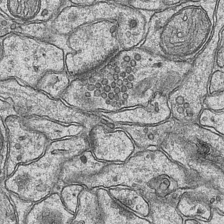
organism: Mouse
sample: CA1 Hippocampus